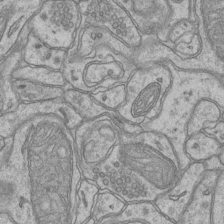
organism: Mouse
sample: CA1 Hippocampus